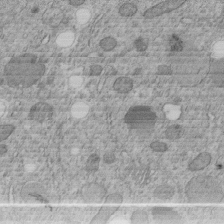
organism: C. elegans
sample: C. elegans embryo early stage